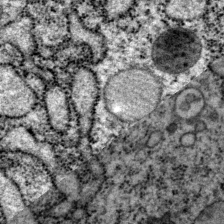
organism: P. pacificus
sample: Pharynx